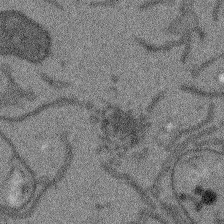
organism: Arabidopsis thaliana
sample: Root tip